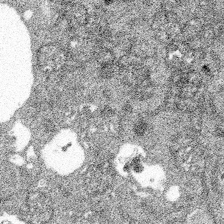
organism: Spongilla lacustris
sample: Multiple